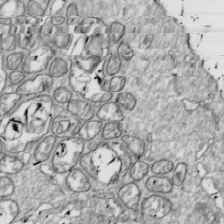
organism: Drosophila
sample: Cell division; meiosis; drosophila spermatocytes